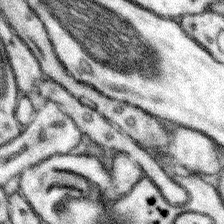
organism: Mouse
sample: Somatosensory cortex neuropil